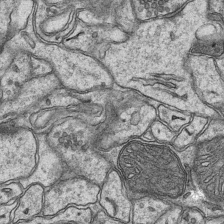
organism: Mouse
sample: CA1 Hippocampus